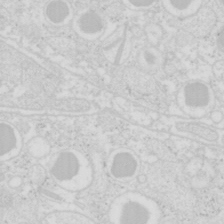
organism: Mouse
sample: Pancreas